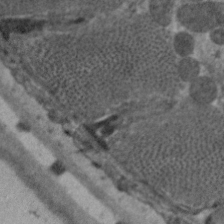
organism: C. elegans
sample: Pharynx